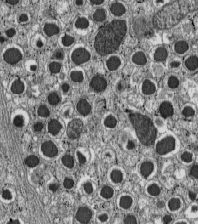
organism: C57BL Mouse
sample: Pancreatic islet